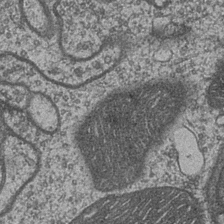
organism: Drosophila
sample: Optic medulla